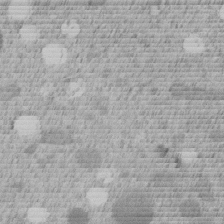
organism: C. elegans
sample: C. elegans embryo early stage